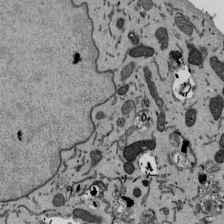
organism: Mouse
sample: ED-1 cell nuclei; centrioles